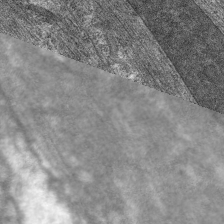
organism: C. elegans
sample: Pharynx